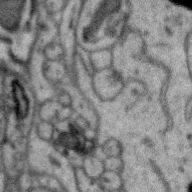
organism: Zebra finch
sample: Brain